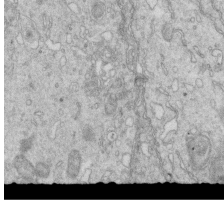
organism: Mouse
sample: Multiciliated cells